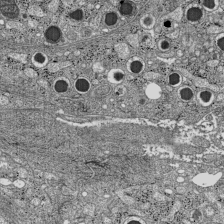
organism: C57BL Mouse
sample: Pancreatic islet